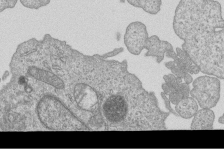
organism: Human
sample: MDA-MB-231 cells